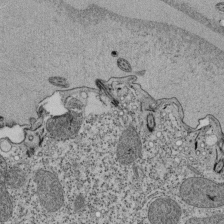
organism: Tetrahymena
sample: Cilia in tetrahymena